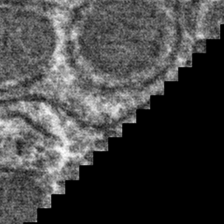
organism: Mouse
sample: Mouse hepatocytes